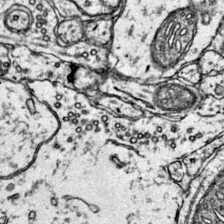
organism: Mouse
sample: Primary visual cortex